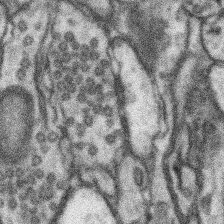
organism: Mouse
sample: Somatosensory cortex neuropil